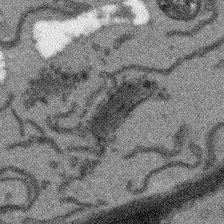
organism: Arabidopsis thaliana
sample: Root tip